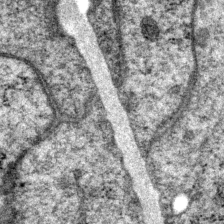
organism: P. pacificus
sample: Pharynx